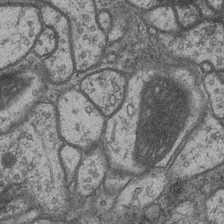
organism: Drosophila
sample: Optic medulla